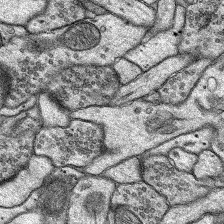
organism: Rat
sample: Hippocampus